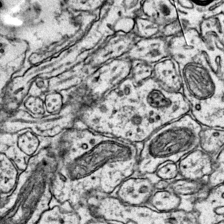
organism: Mouse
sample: Primary visual cortex